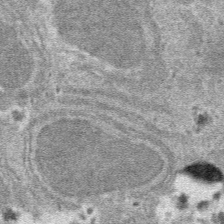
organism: Mouse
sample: Mouse hepatocytes